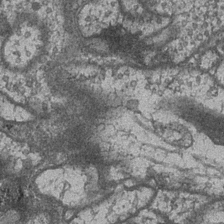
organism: Drosophila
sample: Optic medulla